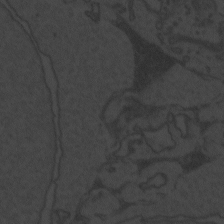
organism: Zebrafish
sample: Macrophage infected with Toxoplasma gondii